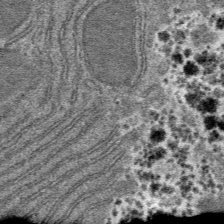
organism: Mouse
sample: Mouse hepatocytes